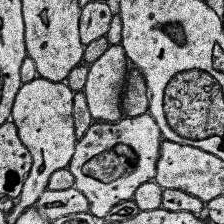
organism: Human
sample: Temporal Lobe